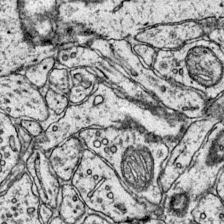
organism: Mouse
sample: Primary visual cortex